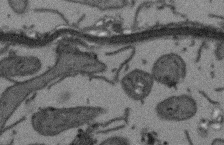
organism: Arabidopsis thaliana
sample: Root tip